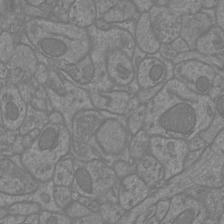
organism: Mouse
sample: Cortical neurons